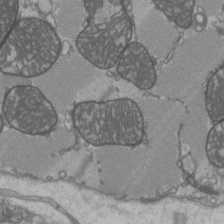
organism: C57BL Mouse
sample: Heart